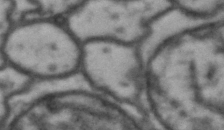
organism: Drosophila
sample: Brain